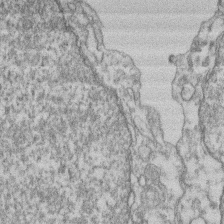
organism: Mouse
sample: T cell stromal cell synapse